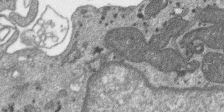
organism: Human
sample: Lung epithelial cells infected with SARS-CoV-2